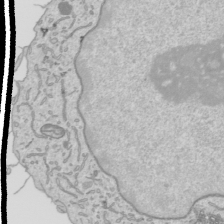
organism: Human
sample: Mitochondria in HCT116 cells